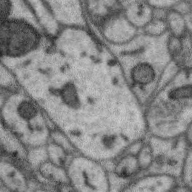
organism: Zebra finch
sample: Brain